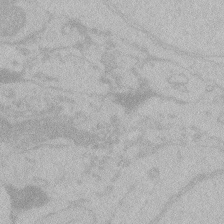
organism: Zebrafish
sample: Macrophage infected with Toxoplasma gondii